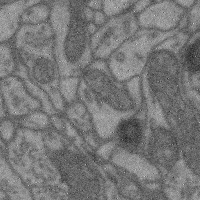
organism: Mouse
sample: Cerebral cortex